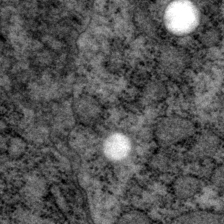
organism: P. pacificus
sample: Pharynx